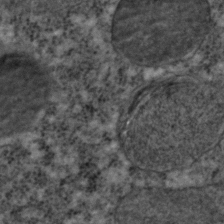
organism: C. elegans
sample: C. elegans embryo